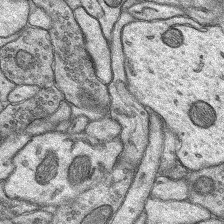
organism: Rat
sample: Hippocampus